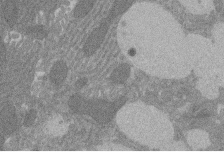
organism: Rat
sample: Salivary granule